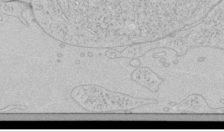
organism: Human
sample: Mitochondria in HCT116 cells